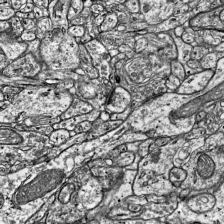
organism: Mouse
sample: Visual Cortex